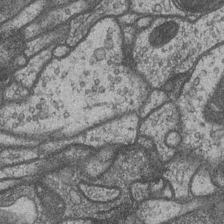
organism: Drosophila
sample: Optic medulla